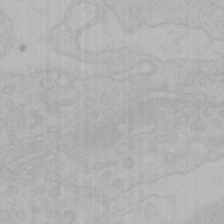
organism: Mouse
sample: Choroid plexus